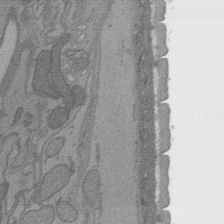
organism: C. elegans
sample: AFD neurons C. elegans